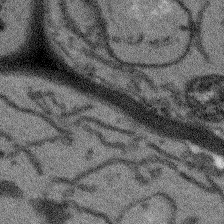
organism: Arabidopsis thaliana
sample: Root tip